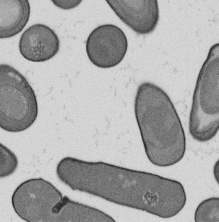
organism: B. subtilis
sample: Bacterial spore